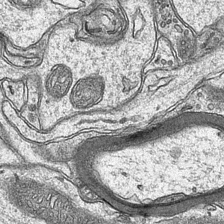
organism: Mouse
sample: CA1 Hippocampus